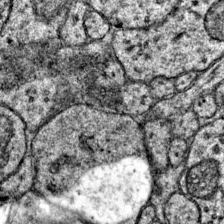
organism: Mouse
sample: Primary visual cortex